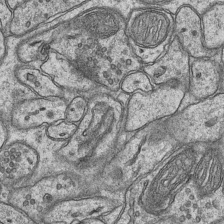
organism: Mouse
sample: CA1 Hippocampus